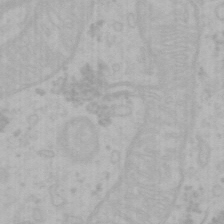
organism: Mouse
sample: Choroid plexus